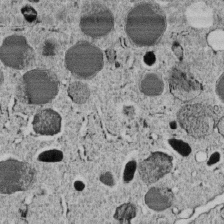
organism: C. elegans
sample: C. elegans embryo early stage